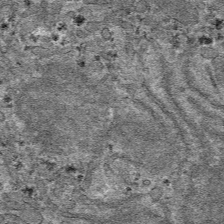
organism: Mouse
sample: Mouse hepatocytes